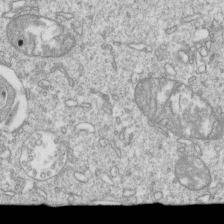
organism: Mouse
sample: Activated OT-1 CD8+ T cells